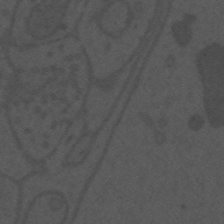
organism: Mouse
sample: Suprachiasmatic nucleus